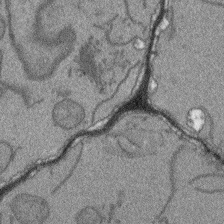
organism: Arabidopsis thaliana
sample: Root tip